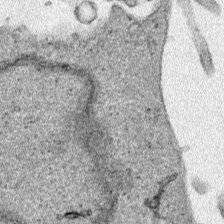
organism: Human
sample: Mitochondria in HCT116 cells